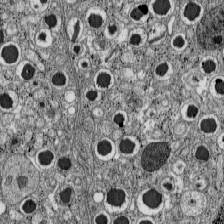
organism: C57BL Mouse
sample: Pancreatic islet